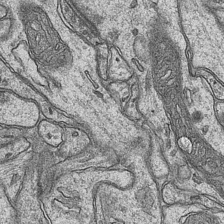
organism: Mouse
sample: CA1 Hippocampus